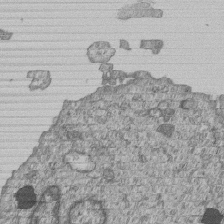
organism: Human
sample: MDA-MB-231 cells